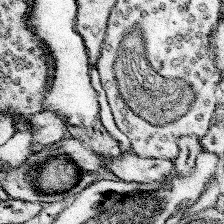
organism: Mouse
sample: Somatosensory cortex neuropil